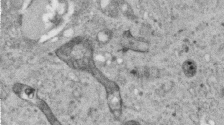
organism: Human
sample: Centriole in RPE cells